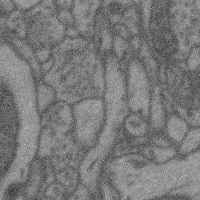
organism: Mouse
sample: Cerebral cortex